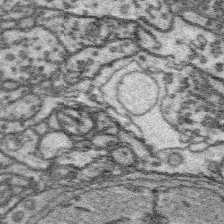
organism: Platynereis dumerilii